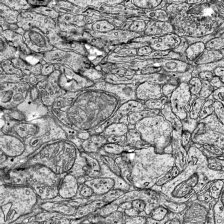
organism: Mouse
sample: Visual Cortex